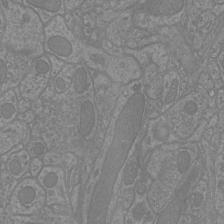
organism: Mouse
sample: Cortical neurons